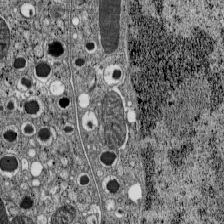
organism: C57BL Mouse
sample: Pancreatic islet